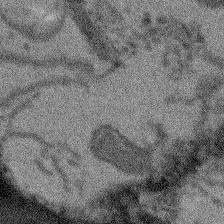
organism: Arabidopsis thaliana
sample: Root tip